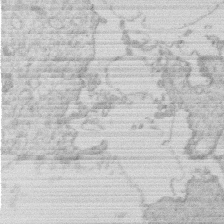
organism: Human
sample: Macrophage cells